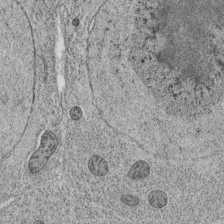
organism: C. elegans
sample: C. elegans oocyte; sperm cells